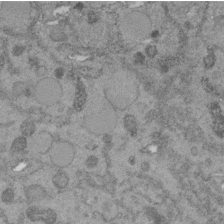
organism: C. elegans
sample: C. elegans embryo early stage